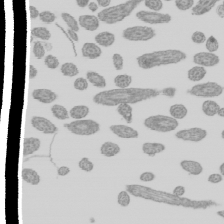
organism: Mouse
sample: Cilia; mouse epididymis